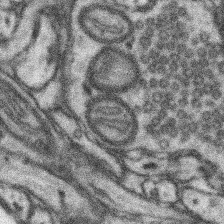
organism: Mouse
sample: Somatosensory cortex neuropil